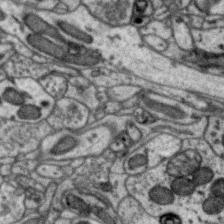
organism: Zebra finch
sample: Brain